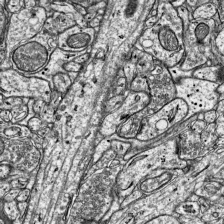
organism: Mouse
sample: Visual Cortex